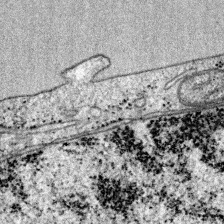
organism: Human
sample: HeLa cells